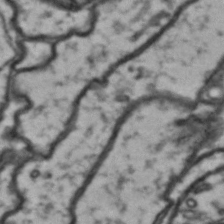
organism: Drosophila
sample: Brain